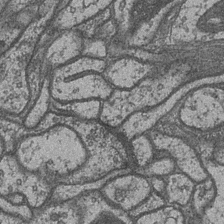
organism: Drosophila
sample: Optic medulla